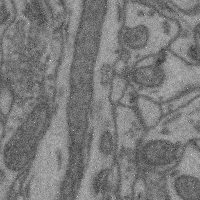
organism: Mouse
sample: Cerebral cortex